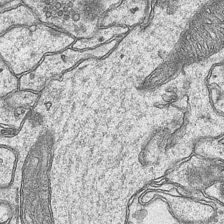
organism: Mouse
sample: CA1 Hippocampus